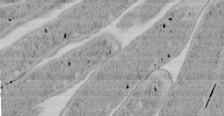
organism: E. coli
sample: Bacterial nucleoid